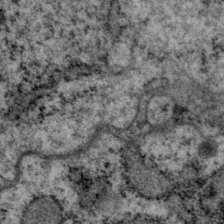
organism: P. pacificus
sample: Pharynx